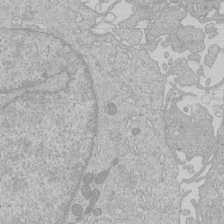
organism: Human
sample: Macrophage cells